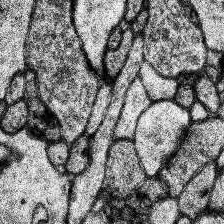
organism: Human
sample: Temporal Lobe